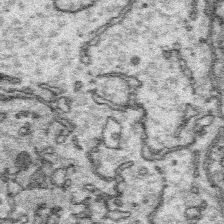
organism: Platynereis dumerilii